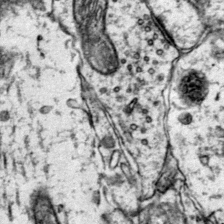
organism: Mouse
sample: Primary visual cortex